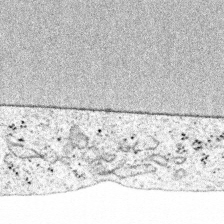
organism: Human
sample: HeLa cells